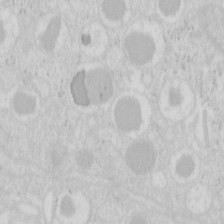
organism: Mouse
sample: Pancreas